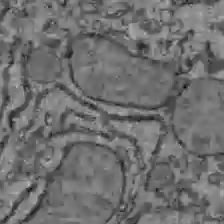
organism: C57BL Mouse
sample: Liver